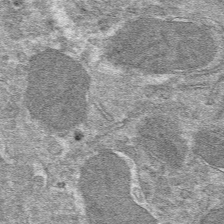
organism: Mouse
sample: Mouse hepatocytes